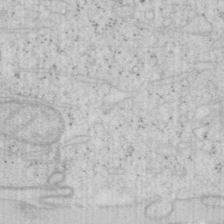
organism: Human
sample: HeLa cells